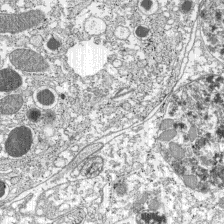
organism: C57BL Mouse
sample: Pancreatic islet